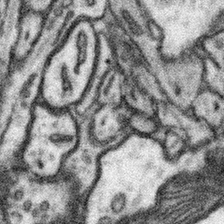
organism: Mouse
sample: Somatosensory cortex neuropil